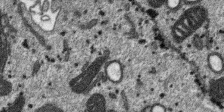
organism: Human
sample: Lung epithelial cells infected with SARS-CoV-2